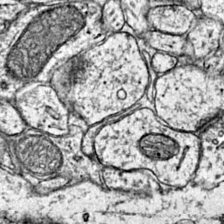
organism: Mouse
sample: Primary visual cortex